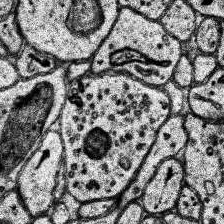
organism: Human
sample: Temporal Lobe